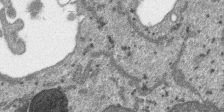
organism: Human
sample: Lung epithelial cells infected with SARS-CoV-2